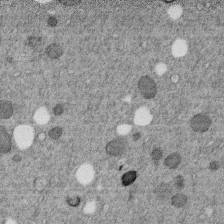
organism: C. elegans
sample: C. elegans embryo early stage